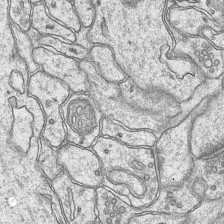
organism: Mouse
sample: CA1 Hippocampus